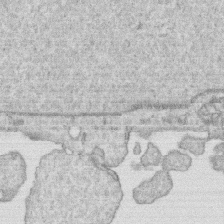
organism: Human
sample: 1205lu cells